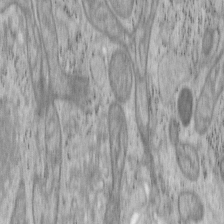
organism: Human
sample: HeLa cells